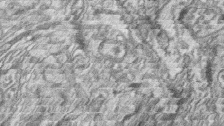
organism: Zebrafish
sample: synaptic ribbons in rod cells and cone cells